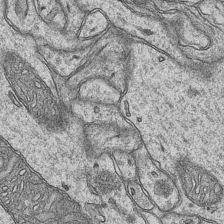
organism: Mouse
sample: CA1 Hippocampus